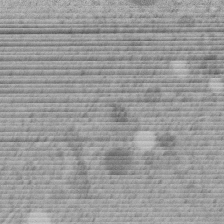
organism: C. elegans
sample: C. elegans embryo early stage